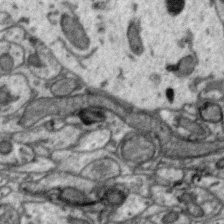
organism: Zebra finch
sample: Brain